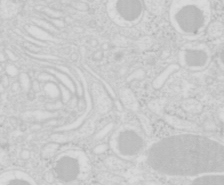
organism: Mouse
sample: Pancreas